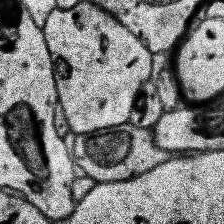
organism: Human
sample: Temporal Lobe